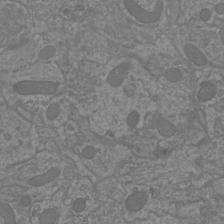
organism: Mouse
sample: Cortical neurons